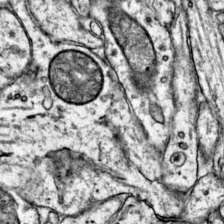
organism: Mouse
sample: Primary visual cortex